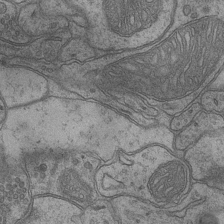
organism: Mouse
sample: CA1 Hippocampus